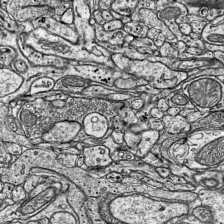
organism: Mouse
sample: Visual Cortex